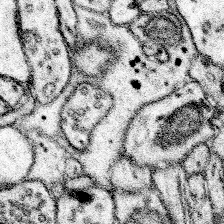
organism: Mouse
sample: Somatosensory cortex neuropil